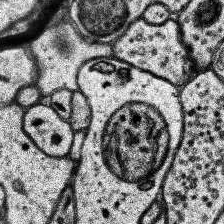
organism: Human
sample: Temporal Lobe